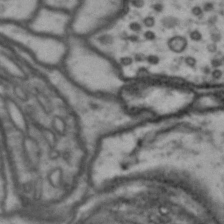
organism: Drosophila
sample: Brain